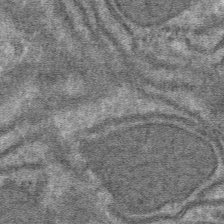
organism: Mouse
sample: Mouse hepatocytes